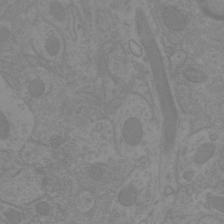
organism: Mouse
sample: Cortical neurons